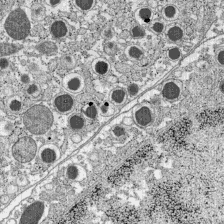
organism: C57BL Mouse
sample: Pancreatic islet